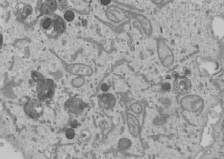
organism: Human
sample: Mitochondria in U2OS cells